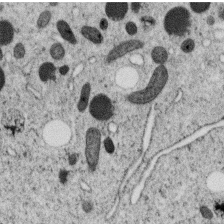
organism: C. elegans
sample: C. elegans oocyte; sperm cells